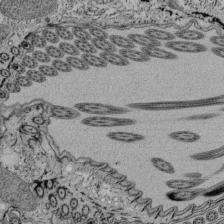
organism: Tetrahymena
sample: Cilia in tetrahymena